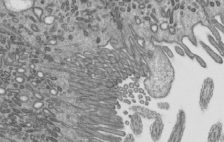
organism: Mouse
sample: Mouse epididymis efferent ductule cilia